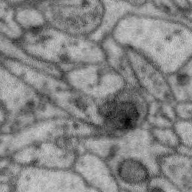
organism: Zebra finch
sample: Brain